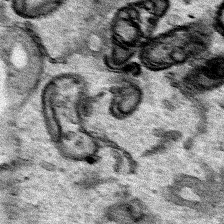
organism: Human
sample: Mitochondria in HCT116 cells